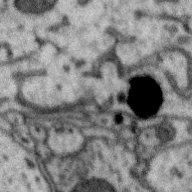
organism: Zebra finch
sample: Brain